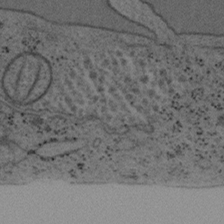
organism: Human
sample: HeLa cells